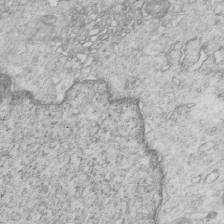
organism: Mouse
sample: Multiciliated cells